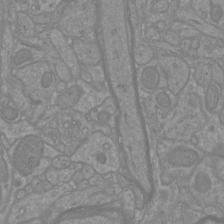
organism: Mouse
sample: Cortical neurons